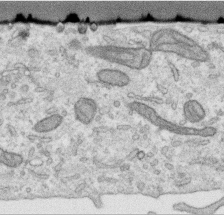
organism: Human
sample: Centriole in RPE cells